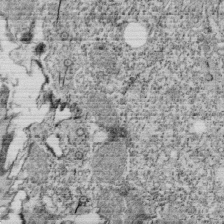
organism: Tetrahymena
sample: Cilia in tetrahymena